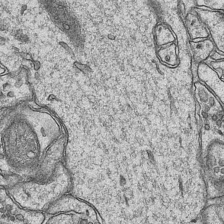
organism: Mouse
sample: CA1 Hippocampus